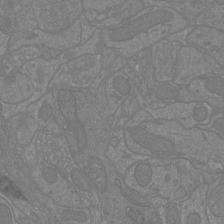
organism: Mouse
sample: Cortical neurons